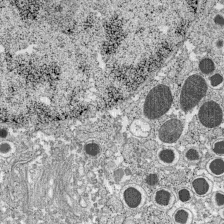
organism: C57BL Mouse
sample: Pancreatic islet